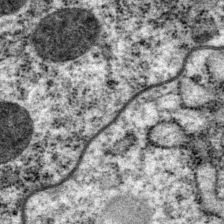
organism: P. pacificus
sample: Pharynx